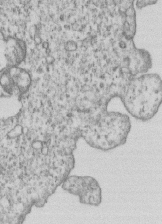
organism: Human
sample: MDA-MB-231 cells